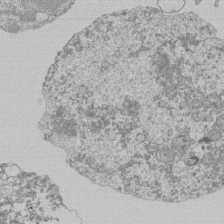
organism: Mouse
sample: Activated Pmel transgenic CD8+ T Cells